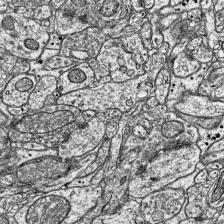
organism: Mouse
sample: Visual Cortex